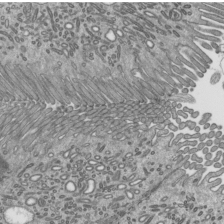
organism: Mouse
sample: Mouse epididymis efferent ductule cilia